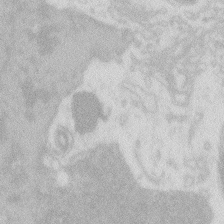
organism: Zebrafish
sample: Macrophage